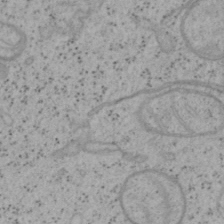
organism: Human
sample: HeLa cells